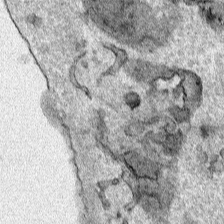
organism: Human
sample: Mitochondria in HCT116 cells